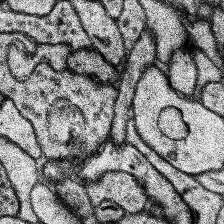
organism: Human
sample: Temporal Lobe